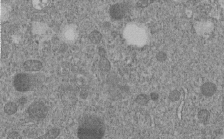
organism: C. elegans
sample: C. elegans embryo early stage